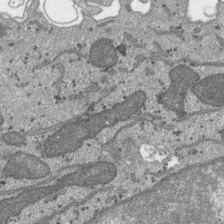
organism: Human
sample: Lung epithelial cells infected with SARS-CoV-2